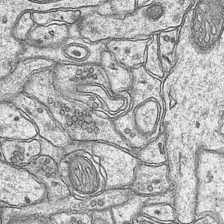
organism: Mouse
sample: CA1 Hippocampus